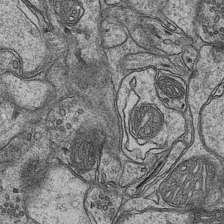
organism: Mouse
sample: CA1 Hippocampus